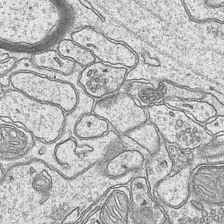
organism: Mouse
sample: CA1 Hippocampus